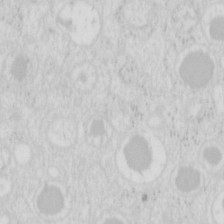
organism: Mouse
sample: Pancreas